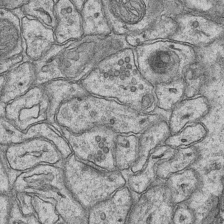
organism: Mouse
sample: CA1 Hippocampus